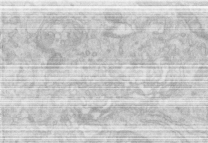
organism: Human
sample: Centriole in RPE cells